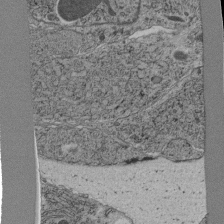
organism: C. elegans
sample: C. elegans pharynx